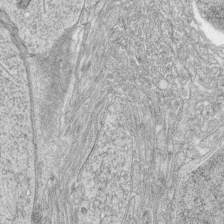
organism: Zebrafish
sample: synaptic ribbons in rod cells and cone cells